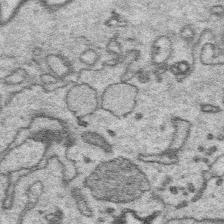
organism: Platynereis dumerilii